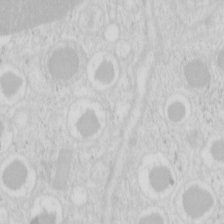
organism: Mouse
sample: Pancreas